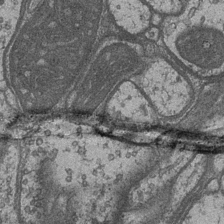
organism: Drosophila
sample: Optic medulla